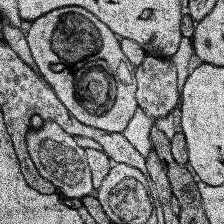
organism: Human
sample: Temporal Lobe